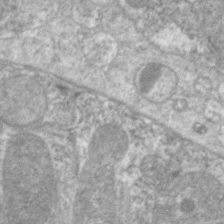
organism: C. elegans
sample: Pharynx